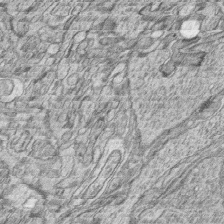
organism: Zebrafish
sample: synaptic ribbons in rod cells and cone cells